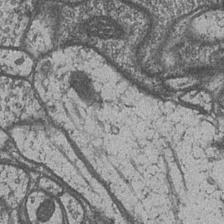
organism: Drosophila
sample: Optic medulla